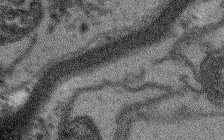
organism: Arabidopsis thaliana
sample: Root tip